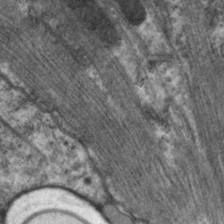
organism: C. elegans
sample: Pharynx